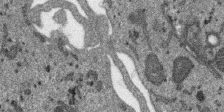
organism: Human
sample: Lung epithelial cells infected with SARS-CoV-2